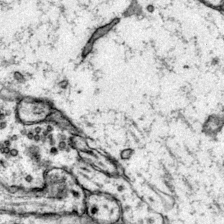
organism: Mouse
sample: Primary visual cortex